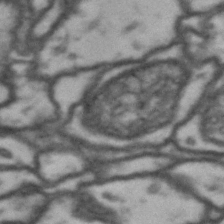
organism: Drosophila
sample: Brain